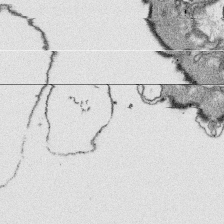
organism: Platynereis dumerilii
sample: Parapodia